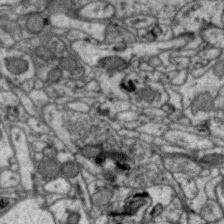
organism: Zebra finch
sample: Brain